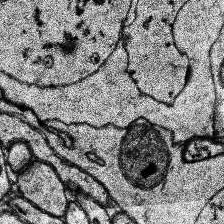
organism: Human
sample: Temporal Lobe